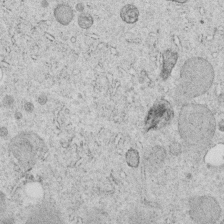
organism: C. elegans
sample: C. elegans embryo early stage